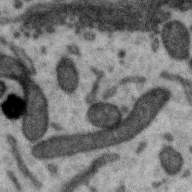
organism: Zebra finch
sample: Brain